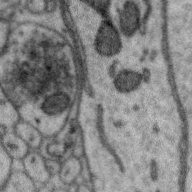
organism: Zebra finch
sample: Brain